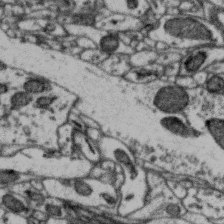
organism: Zebra finch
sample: Brain